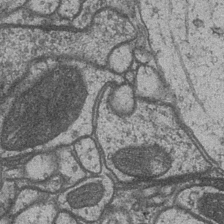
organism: Drosophila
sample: Optic medulla